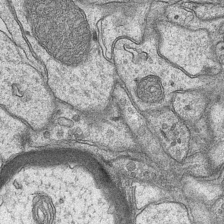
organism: Mouse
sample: CA1 Hippocampus